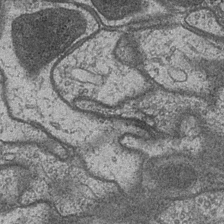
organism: Drosophila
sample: Optic medulla